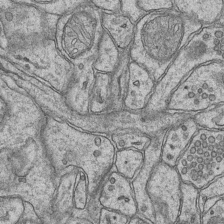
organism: Mouse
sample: CA1 Hippocampus